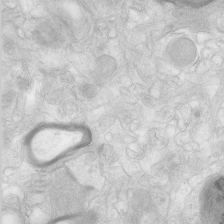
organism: Human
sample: Neocortex